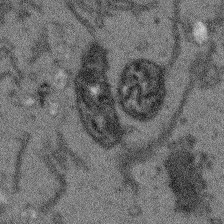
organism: Arabidopsis thaliana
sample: Root tip